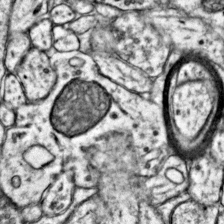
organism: Mouse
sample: Primary visual cortex